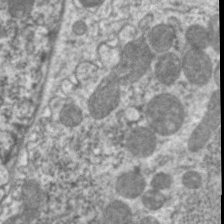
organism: C. elegans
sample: Pharynx